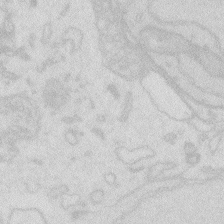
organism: Zebrafish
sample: Macrophage